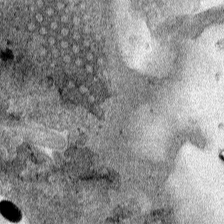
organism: Human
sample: Mitochondria in HCT116 cells